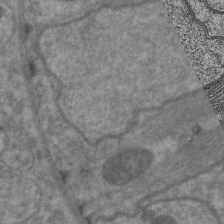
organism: C. elegans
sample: Pharynx